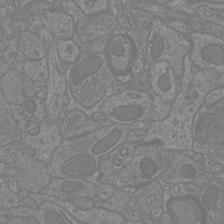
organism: Mouse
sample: Cortical neurons